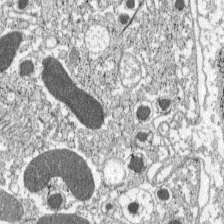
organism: C57BL Mouse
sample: Pancreatic islet